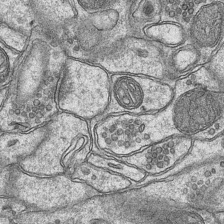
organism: Mouse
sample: CA1 Hippocampus